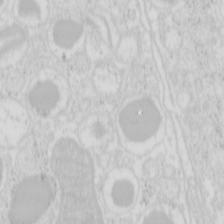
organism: Mouse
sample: Pancreas